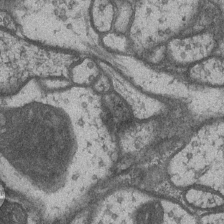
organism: Drosophila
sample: Optic medulla